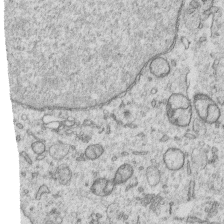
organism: Human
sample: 1205lu cells